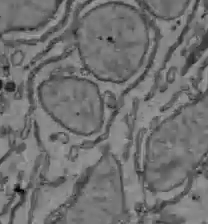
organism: C57BL Mouse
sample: Liver